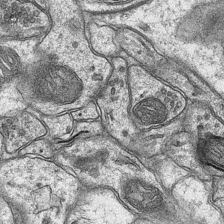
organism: Mouse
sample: CA1 Hippocampus